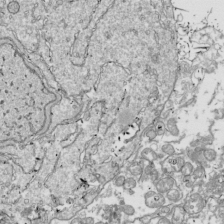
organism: Drosophila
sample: Cell division; meiosis; drosophila spermatocytes